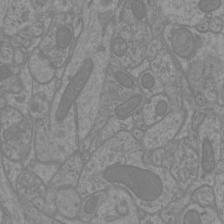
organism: Mouse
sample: Cortical neurons